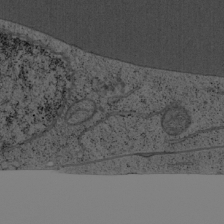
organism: African green monkey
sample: COS-7 cells